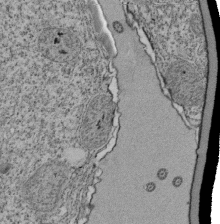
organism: Tetrahymena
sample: Cilia in tetrahymena